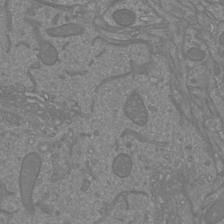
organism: Mouse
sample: Cortical neurons